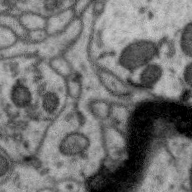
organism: Zebra finch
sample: Brain